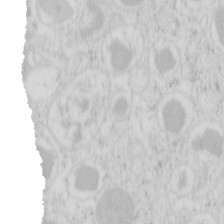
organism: Mouse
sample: Pancreas